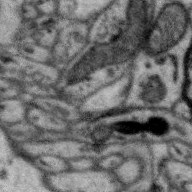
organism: Zebra finch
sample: Brain